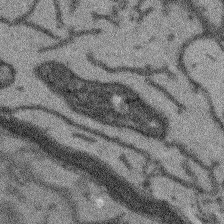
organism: Arabidopsis thaliana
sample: Root tip